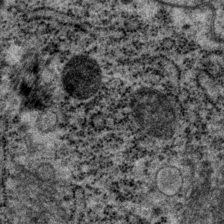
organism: P. pacificus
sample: Pharynx